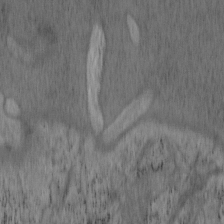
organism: Human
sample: HeLa cells